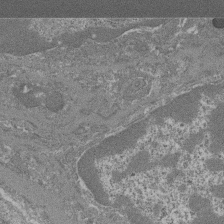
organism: Mouse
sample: Glomerulus